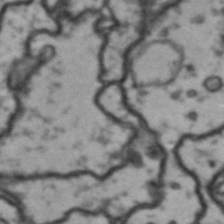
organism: Drosophila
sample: Brain